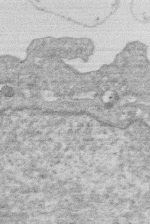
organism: Human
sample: Macrophage cells